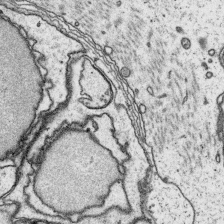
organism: Platynereis dumerilii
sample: Parapodia